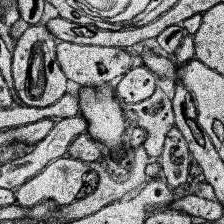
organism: Human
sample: Temporal Lobe